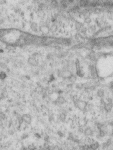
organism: Human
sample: Centriole in RPE cells